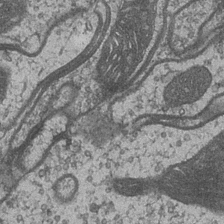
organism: Drosophila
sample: Optic medulla